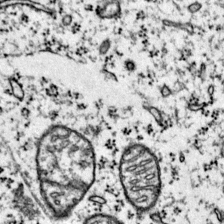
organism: Mouse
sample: Primary visual cortex